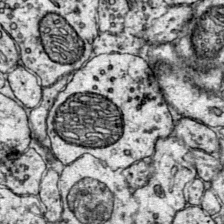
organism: Mouse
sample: Primary visual cortex